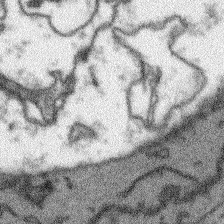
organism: Arabidopsis thaliana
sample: Root tip